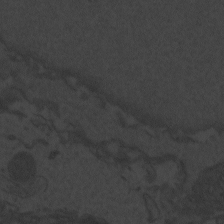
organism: Zebrafish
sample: Macrophage infected with Toxoplasma gondii